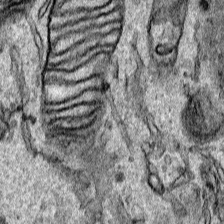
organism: Human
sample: Mitochondria in HCT116 cells